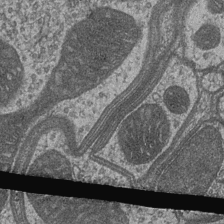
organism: Drosophila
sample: Optic medulla